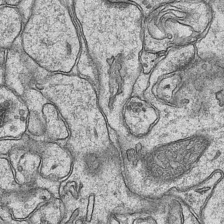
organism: Mouse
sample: CA1 Hippocampus